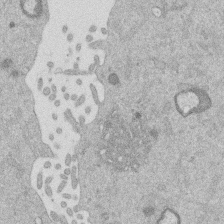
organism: Mouse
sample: Dividing mouse embryo 1 cell stage